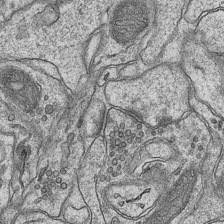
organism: Mouse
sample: CA1 Hippocampus